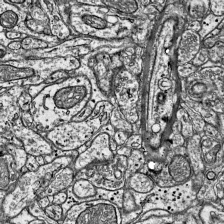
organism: Mouse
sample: Visual Cortex